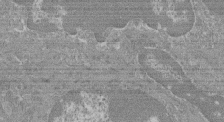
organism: Mouse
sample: Glomerulus